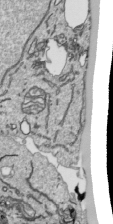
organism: Human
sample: Mitochondria in HCT116 cells